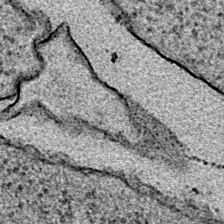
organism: E. coli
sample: E. Coli Bacteria